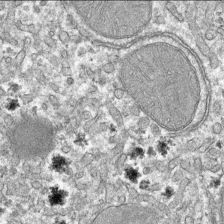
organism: Mouse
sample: Mouse hepatocytes